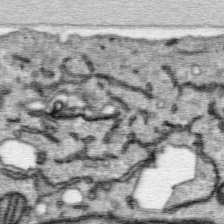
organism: Human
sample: HeLa cells